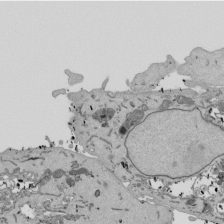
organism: Mouse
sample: ED-1 cell nuclei; centrioles